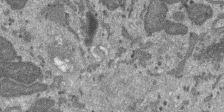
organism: Human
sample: Lung epithelial cells infected with SARS-CoV-2